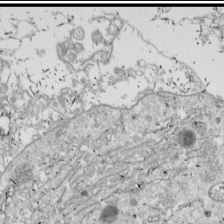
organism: Drosophila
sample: Cell division; meiosis; drosophila spermatocytes